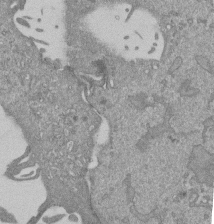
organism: Mouse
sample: ED-1 cell nuclei; centrioles